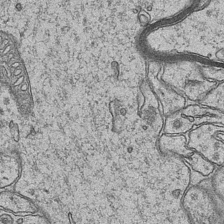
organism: Mouse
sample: CA1 Hippocampus